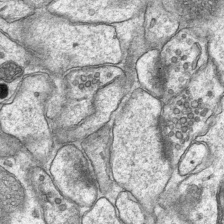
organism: Mouse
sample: CA1 Hippocampus